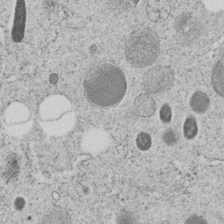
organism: C. elegans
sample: C. elegans embryo early stage